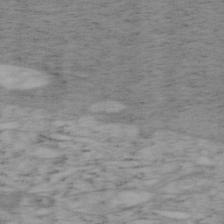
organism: Mouse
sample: OT-I killer T cells with ID8 ovarian cancer cells